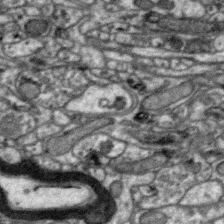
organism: Zebra finch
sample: Brain